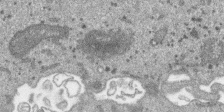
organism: Human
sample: Lung epithelial cells infected with SARS-CoV-2